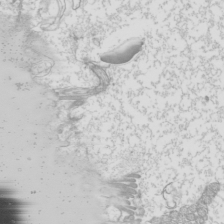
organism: Mouse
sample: Cilia; mouse epididymis